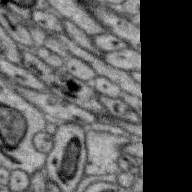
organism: Zebra finch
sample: Brain